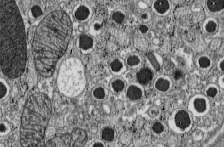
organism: C57BL Mouse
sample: Pancreatic islet